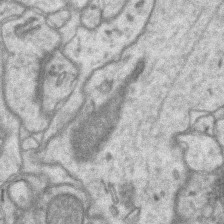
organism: Mouse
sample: CA1 Hippocampus